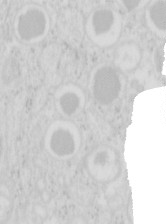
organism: Mouse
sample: Pancreas